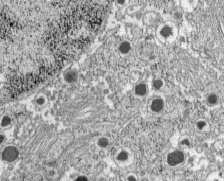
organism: C57BL Mouse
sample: Pancreatic islet